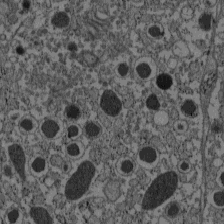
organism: C57BL Mouse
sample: Pancreatic islet